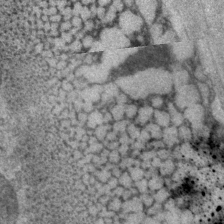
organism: P. pacificus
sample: Pharynx